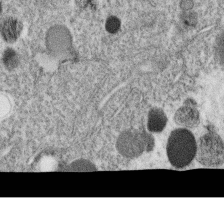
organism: C. elegans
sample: C. elegans oocyte; sperm cells